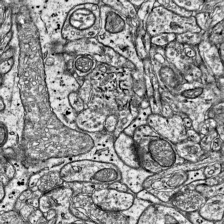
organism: Mouse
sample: Visual Cortex